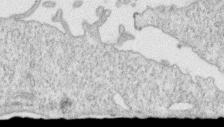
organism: Human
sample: HeLa cell HIV synapse